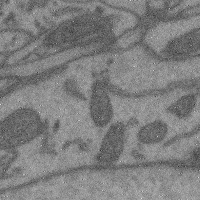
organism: Mouse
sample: Cerebral cortex